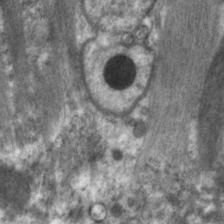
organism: C. elegans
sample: Pharynx